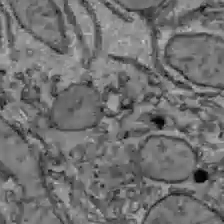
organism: C57BL Mouse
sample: Liver